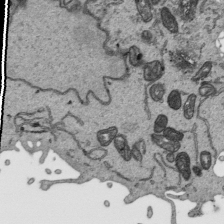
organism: Human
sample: Mitochondria in HCT116 cells